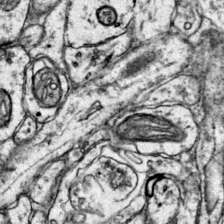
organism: Mouse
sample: Primary visual cortex